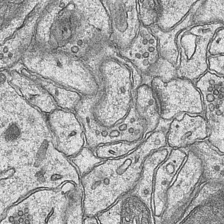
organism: Mouse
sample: CA1 Hippocampus